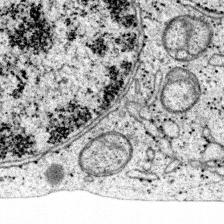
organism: Human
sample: HeLa cells